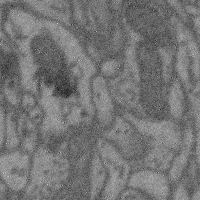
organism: Mouse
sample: Cerebral cortex